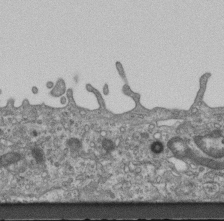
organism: Mouse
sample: Centriole in ependymal cells